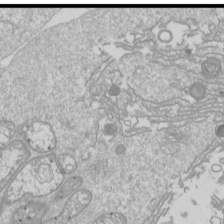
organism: Drosophila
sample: Cell division; meiosis; drosophila spermatocytes